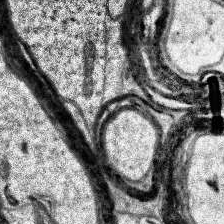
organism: Human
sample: Temporal Lobe